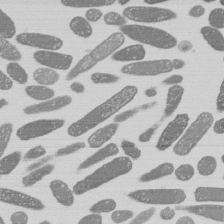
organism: E. coli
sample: Bacterial nucleoid